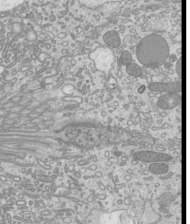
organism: Mouse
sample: Cilia; mouse epididymis